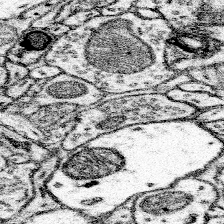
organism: Mouse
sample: Somatosensory cortex neuropil